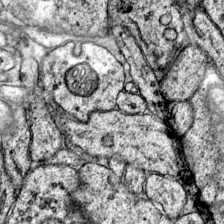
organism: Mouse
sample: Primary visual cortex